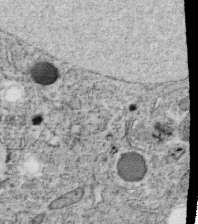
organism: C. elegans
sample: C. elegans oocyte; sperm cells